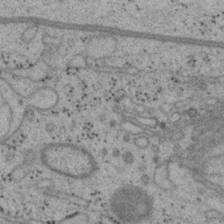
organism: Human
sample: HeLa cells